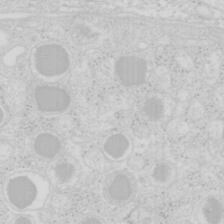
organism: Mouse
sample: Pancreas